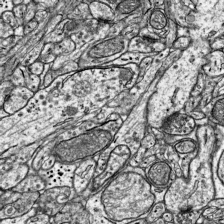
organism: Mouse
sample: Visual Cortex